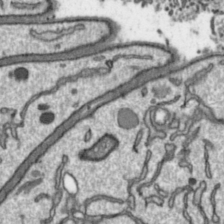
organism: Toxoplasma gondii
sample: Parasites in a vacuole inside a host cell